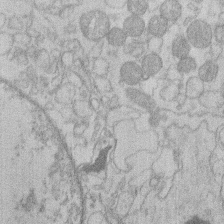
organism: Human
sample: Macrophage cells